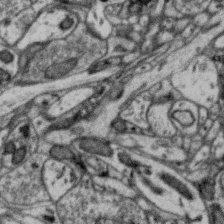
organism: Zebra finch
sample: Brain